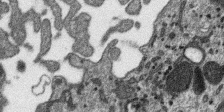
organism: Human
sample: Lung epithelial cells infected with SARS-CoV-2